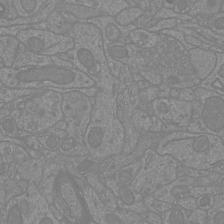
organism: Mouse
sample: Cortical neurons